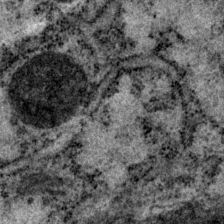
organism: P. pacificus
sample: Pharynx